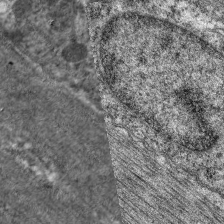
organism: C. elegans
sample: Pharynx